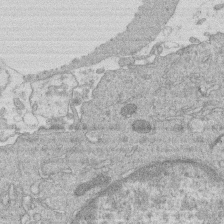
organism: Human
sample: Macrophage cells